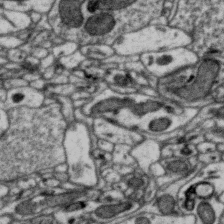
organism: Zebra finch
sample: Brain